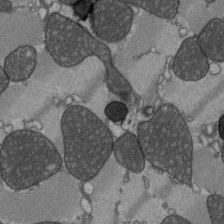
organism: C57BL Mouse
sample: Heart